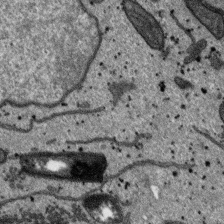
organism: Human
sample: Lung epithelial cells, uninfected (mock) control